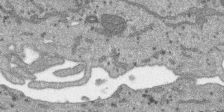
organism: Human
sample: Lung epithelial cells infected with SARS-CoV-2